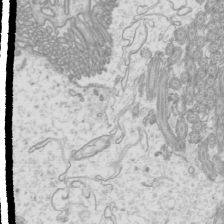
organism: Mouse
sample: Cilia; mouse epididymis